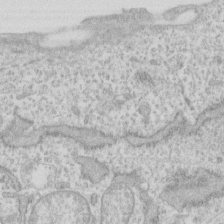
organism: Human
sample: Fibroblast cells